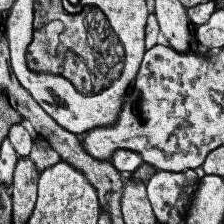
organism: Human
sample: Temporal Lobe